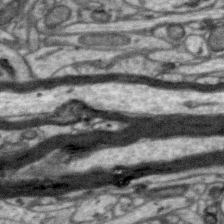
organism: Zebra finch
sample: Brain